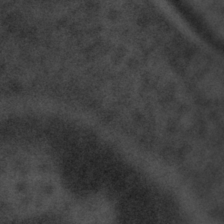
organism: Tuwongella immobilis